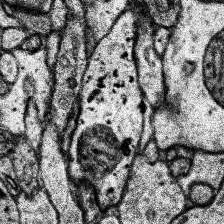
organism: Human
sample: Temporal Lobe